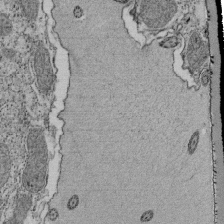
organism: Tetrahymena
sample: Cilia in tetrahymena